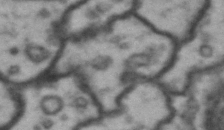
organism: Drosophila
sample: Brain